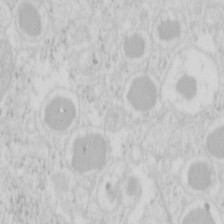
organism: Mouse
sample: Pancreas